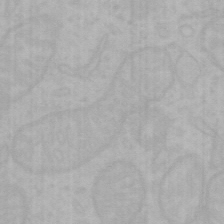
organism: Mouse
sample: Choroid plexus